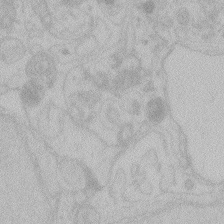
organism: Zebrafish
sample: Macrophage infected with Toxoplasma gondii